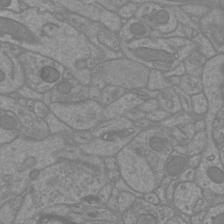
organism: Mouse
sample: Cortical neurons